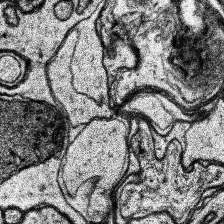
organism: Human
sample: Temporal Lobe